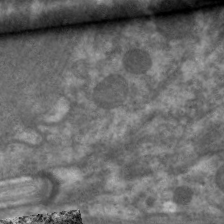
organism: C. elegans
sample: Pharynx